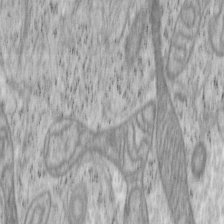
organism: Human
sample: HeLa cells